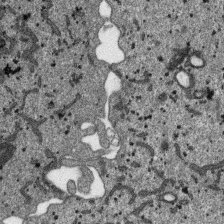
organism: Human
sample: Lung epithelial cells infected with SARS-CoV-2